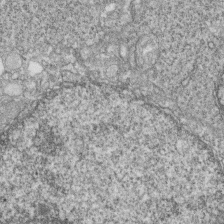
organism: Zebrafish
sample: Cilia; retinal pigment epithelium